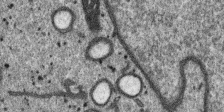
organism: Human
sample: Lung epithelial cells infected with SARS-CoV-2